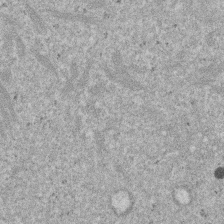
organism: Mouse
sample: Dividing mouse embryo 1 cell stage